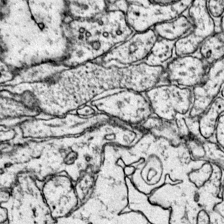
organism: Mouse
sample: Primary visual cortex